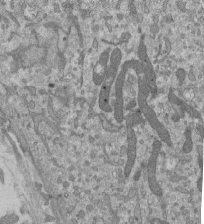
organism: Mouse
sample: ED-1 cell nuclei; centrioles